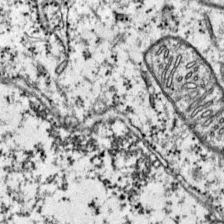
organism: Mouse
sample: Primary visual cortex